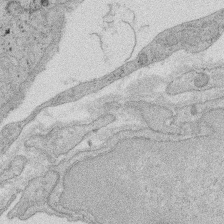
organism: Rat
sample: Salivary granule